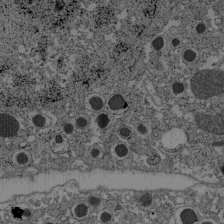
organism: C57BL Mouse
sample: Pancreatic islet